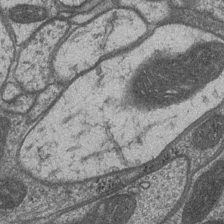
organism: Drosophila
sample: Optic medulla